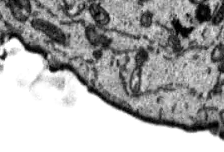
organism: Human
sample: HeLa cells